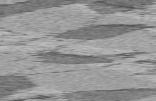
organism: C57BL Mouse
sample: Heart